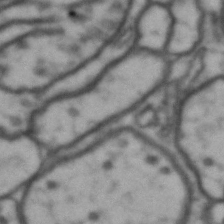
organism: Drosophila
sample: Brain